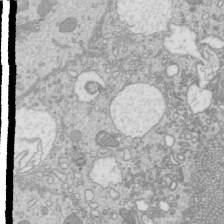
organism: Mouse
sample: Cilia; mouse epididymis